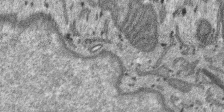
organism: Human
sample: Lung epithelial cells infected with SARS-CoV-2